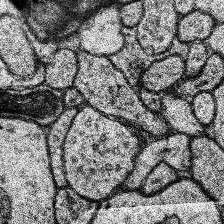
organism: Human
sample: Temporal Lobe